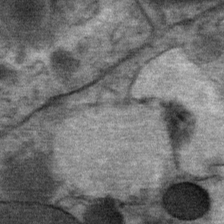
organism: Mouse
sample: Mouse Salivary gland